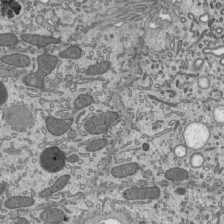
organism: Mouse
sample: Mouse epididymis efferent ductule cilia